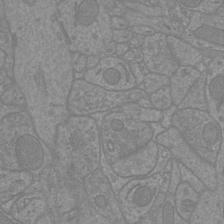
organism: Mouse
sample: Cortical neurons